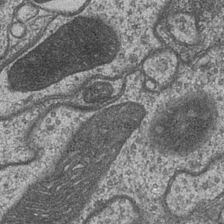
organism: Drosophila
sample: Optic medulla